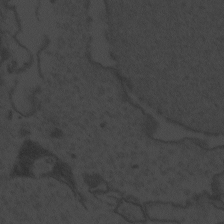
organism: Zebrafish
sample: Macrophage infected with Toxoplasma gondii